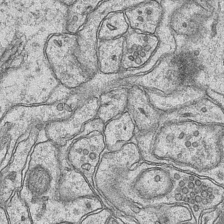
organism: Mouse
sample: CA1 Hippocampus